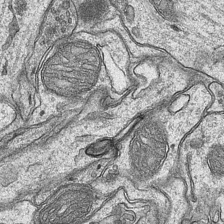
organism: Mouse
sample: CA1 Hippocampus